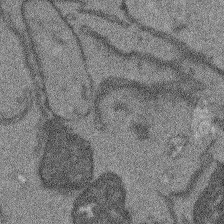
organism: Arabidopsis thaliana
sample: Root tip